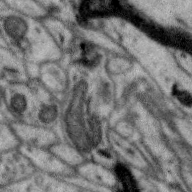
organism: Zebra finch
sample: Brain